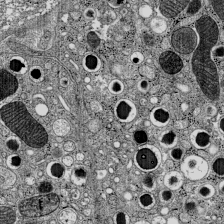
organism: C57BL Mouse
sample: Pancreatic islet